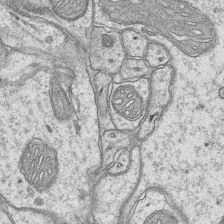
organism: Mouse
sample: CA1 Hippocampus